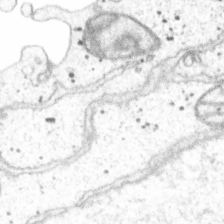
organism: Human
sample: HeLa cells